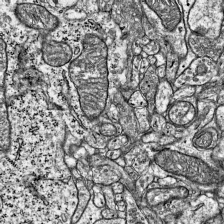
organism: Mouse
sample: Visual Cortex